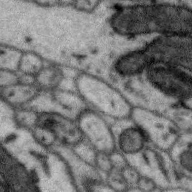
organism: Zebra finch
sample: Brain